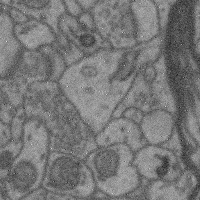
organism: Mouse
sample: Cerebral cortex